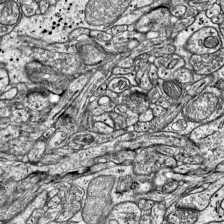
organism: Mouse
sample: Visual Cortex